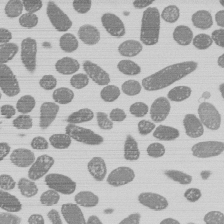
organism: E. coli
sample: Bacterial nucleoid